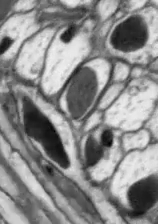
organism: Drosophila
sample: Optic lobe